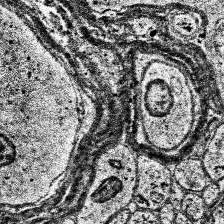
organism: Human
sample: Temporal Lobe